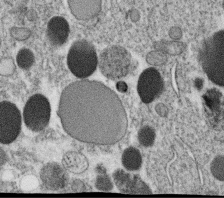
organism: C. elegans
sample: C. elegans oocyte; sperm cells